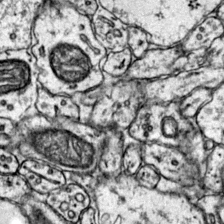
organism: Mouse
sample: Primary visual cortex